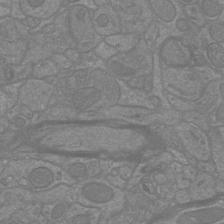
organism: Mouse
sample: Cortical neurons